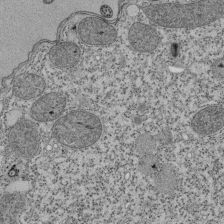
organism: Tetrahymena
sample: Cilia in tetrahymena